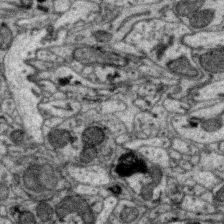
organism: Zebra finch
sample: Brain